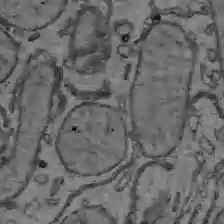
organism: C57BL Mouse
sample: Liver